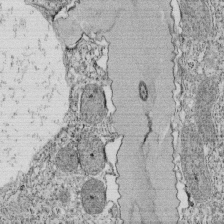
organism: Tetrahymena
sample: Cilia in tetrahymena